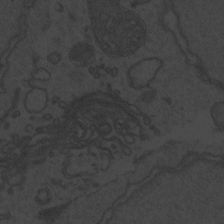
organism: Zebrafish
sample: Macrophage infected with Toxoplasma gondii